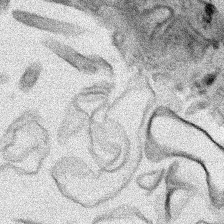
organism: Human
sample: Mitochondria in HCT116 cells